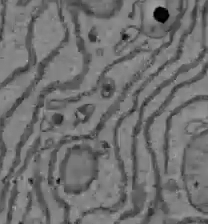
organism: C57BL Mouse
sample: Liver